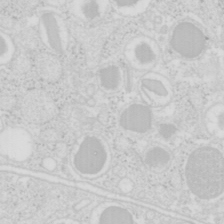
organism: Mouse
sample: Pancreas